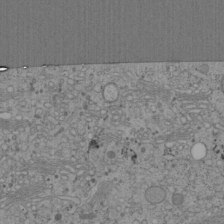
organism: African green monkey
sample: COS-7 cells